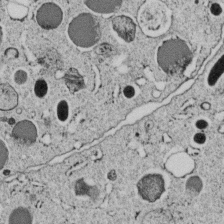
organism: C. elegans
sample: C. elegans embryo early stage